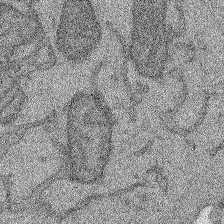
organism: Human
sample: HeLa cells